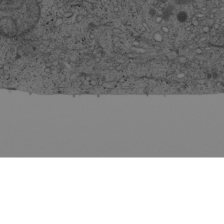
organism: African green monkey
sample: COS-7 cells